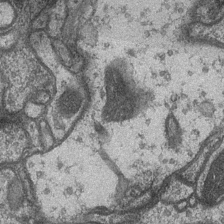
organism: Drosophila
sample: Optic medulla